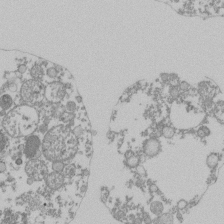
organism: Mouse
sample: Activated Pmel transgenic CD8+ T Cells